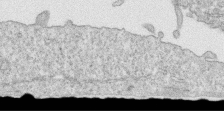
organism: Human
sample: HeLa cell HIV synapse